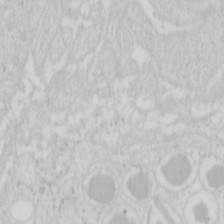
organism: Mouse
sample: Pancreas